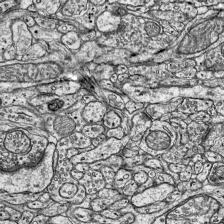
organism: Mouse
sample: Visual Cortex